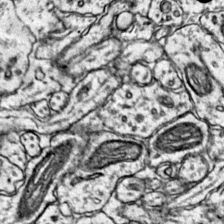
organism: Mouse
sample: Primary visual cortex